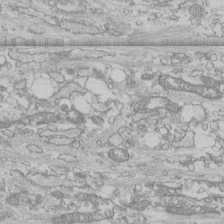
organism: Human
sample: CRL-1474